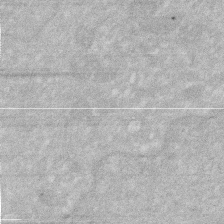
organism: Human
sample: HIV infected U937 cells